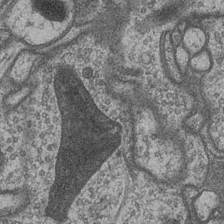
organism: Drosophila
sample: Optic medulla